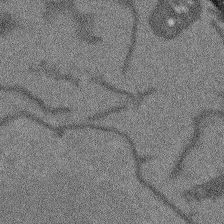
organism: Arabidopsis thaliana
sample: Root tip